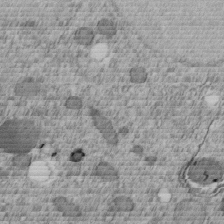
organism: C. elegans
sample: C. elegans embryo early stage